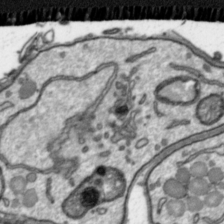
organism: Toxoplasma gondii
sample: Parasites in a vacuole inside a host cell